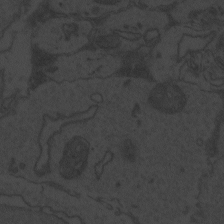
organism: Zebrafish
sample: Macrophage infected with Toxoplasma gondii